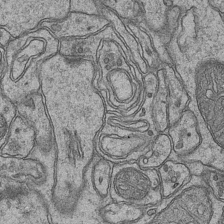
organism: Mouse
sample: CA1 Hippocampus